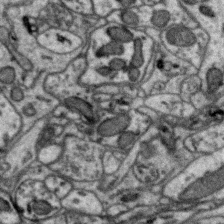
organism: Zebra finch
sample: Brain